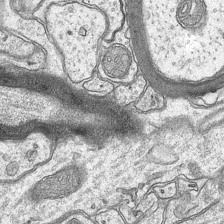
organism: Mouse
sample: CA1 Hippocampus